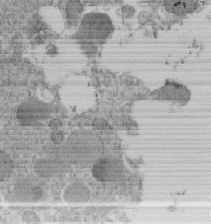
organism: C. elegans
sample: C. elegans embryo early stage